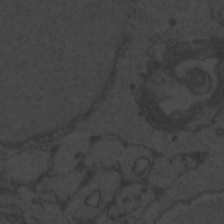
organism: Zebrafish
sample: Macrophage infected with Toxoplasma gondii